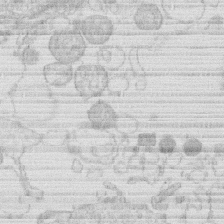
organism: Human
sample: Macrophage cells